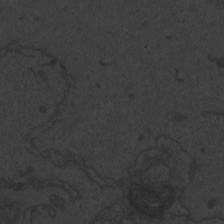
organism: Zebrafish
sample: Macrophage infected with Toxoplasma gondii